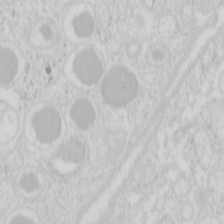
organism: Mouse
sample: Pancreas